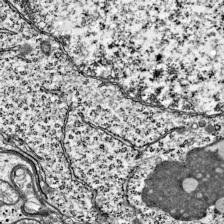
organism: Mouse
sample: Visual Cortex